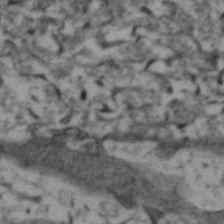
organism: Zebrafish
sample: Zebrafish embryo